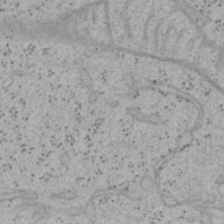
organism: Human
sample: HeLa cells